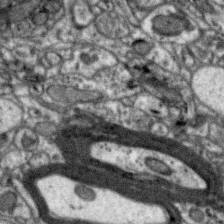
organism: Zebra finch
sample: Brain